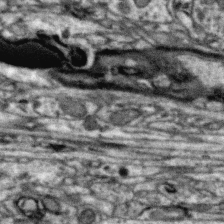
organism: Zebra finch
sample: Brain